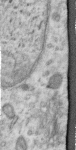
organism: Human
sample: Centriole in RPE cells